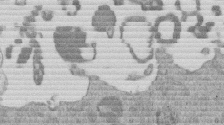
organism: Mouse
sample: Dividing mouse embryo 1 cell stage